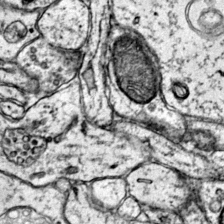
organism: Mouse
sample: Primary visual cortex